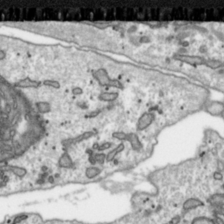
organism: Toxoplasma gondii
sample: Parasites in a vacuole inside a host cell